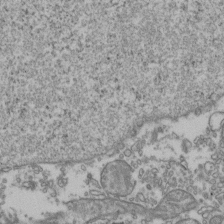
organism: Human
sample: Activated Jurkat CD4+ T cells